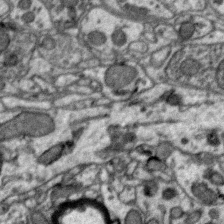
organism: Zebra finch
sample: Brain